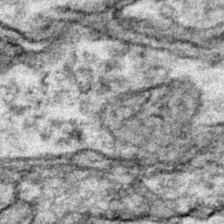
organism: Zebrafish